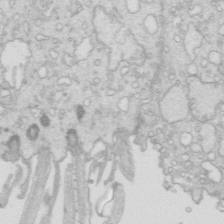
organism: Mouse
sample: Multiciliated cells